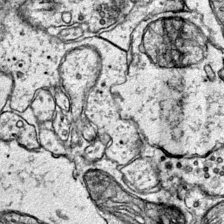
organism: Mouse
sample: Primary visual cortex